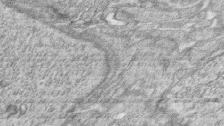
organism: Zebrafish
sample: synaptic ribbons in rod cells and cone cells